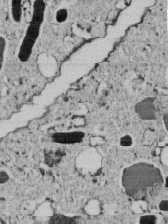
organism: C. elegans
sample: C. elegans embryo early stage